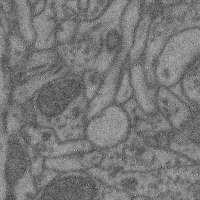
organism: Mouse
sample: Cerebral cortex